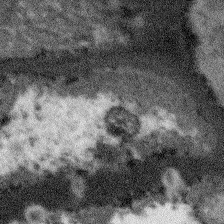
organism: Arabidopsis thaliana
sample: Root tip